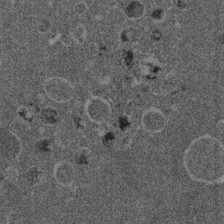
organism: Mouse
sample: Dividing mouse embryo 1 cell stage